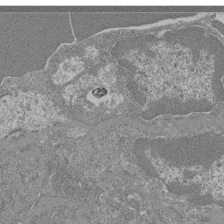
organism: Mouse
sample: Glomerulus